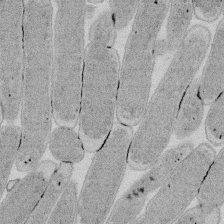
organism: E. coli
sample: Bacterial nucleoid